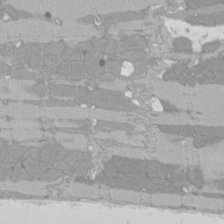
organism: Rat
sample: Left ventricle